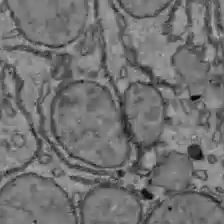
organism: C57BL Mouse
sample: Liver